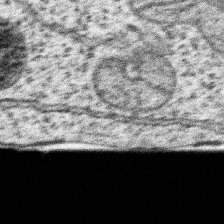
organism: Human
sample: HeLa cells